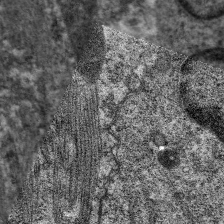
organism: C. elegans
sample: Pharynx